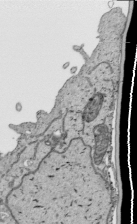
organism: Human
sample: Mitochondria in HCT116 cells